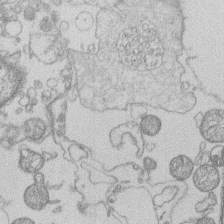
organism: Human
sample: Macrophage cells